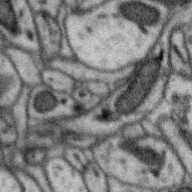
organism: Zebra finch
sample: Brain